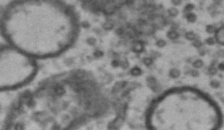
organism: Drosophila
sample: Brain